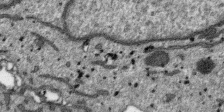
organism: Human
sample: Lung epithelial cells, uninfected (mock) control